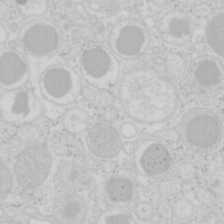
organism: Mouse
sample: Pancreas